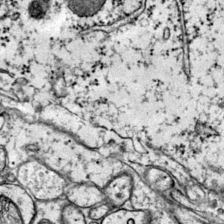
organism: Mouse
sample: Primary visual cortex